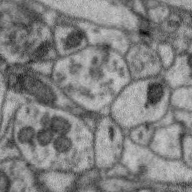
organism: Zebra finch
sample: Brain